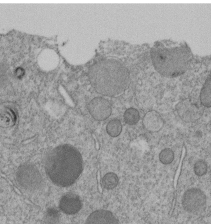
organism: C. elegans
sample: C. elegans embryo early stage